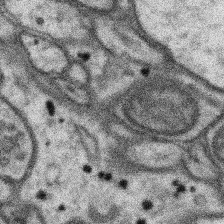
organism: Mouse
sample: Somatosensory cortex neuropil